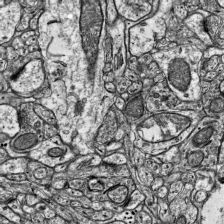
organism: Mouse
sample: Visual Cortex